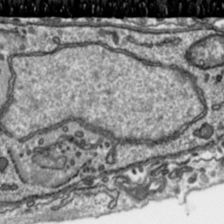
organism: Toxoplasma gondii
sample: Parasites in a vacuole inside a host cell